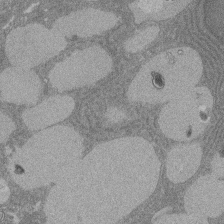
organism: Rat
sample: Salivary granule